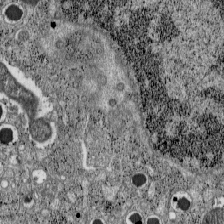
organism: C57BL Mouse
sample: Pancreatic islet